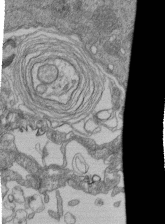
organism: Human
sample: Retinal organoid Rod and Cone cells